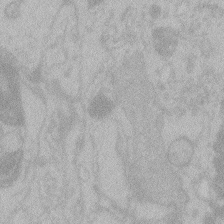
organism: Zebrafish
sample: Macrophage infected with Toxoplasma gondii